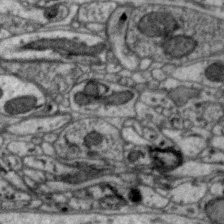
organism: Zebra finch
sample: Brain